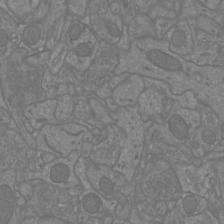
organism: Mouse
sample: Cortical neurons